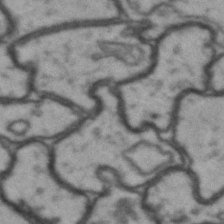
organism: Drosophila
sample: Brain